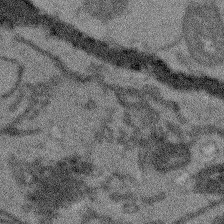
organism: Arabidopsis thaliana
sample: Root tip